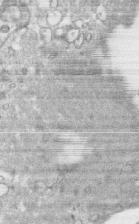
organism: Human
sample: CRL-1474